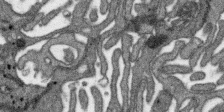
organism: Human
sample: Lung epithelial cells, uninfected (mock) control